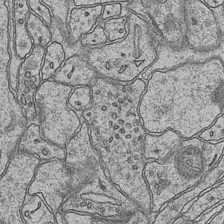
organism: Mouse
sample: CA1 Hippocampus